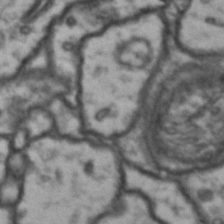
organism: Drosophila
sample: Brain